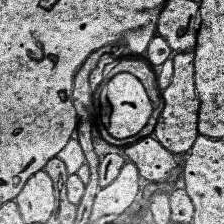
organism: Human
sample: Temporal Lobe